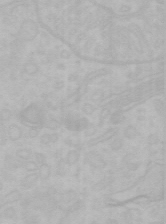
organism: Mouse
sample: Choroid plexus